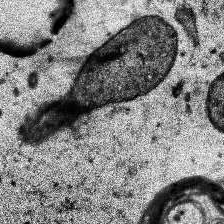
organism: Human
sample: Temporal Lobe